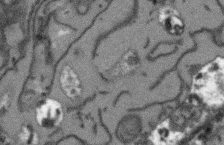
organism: Arabidopsis thaliana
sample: Root tip